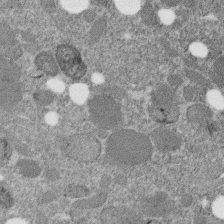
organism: C. elegans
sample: C. elegans embryo early stage